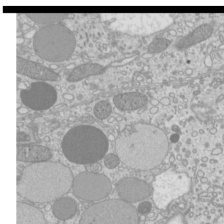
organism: Mouse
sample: Cilia; mouse epididymis